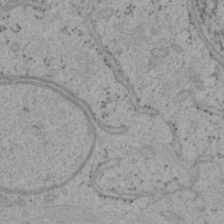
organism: Human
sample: HeLa cells